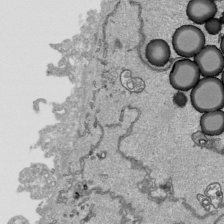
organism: Human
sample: Mitochondria in HCT116 cells